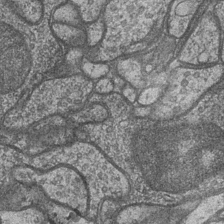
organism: Drosophila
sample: Optic medulla